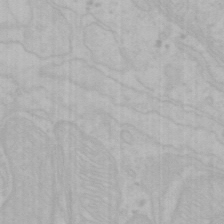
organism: Mouse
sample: Choroid plexus